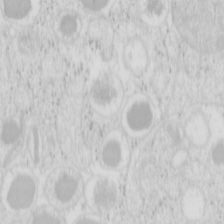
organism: Mouse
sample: Pancreas